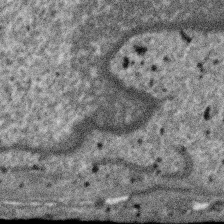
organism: Human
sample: Lung epithelial cells infected with SARS-CoV-2